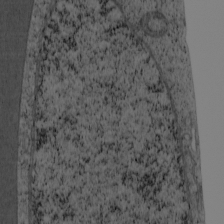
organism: African green monkey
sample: COS-7 cells